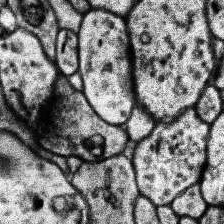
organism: Human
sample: Temporal Lobe